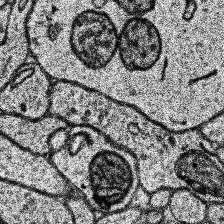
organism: Human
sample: Temporal Lobe